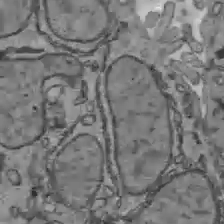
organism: C57BL Mouse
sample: Liver